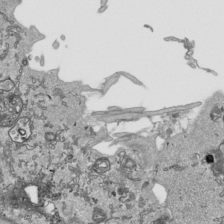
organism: Human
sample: Mitochondria in HCT116 cells